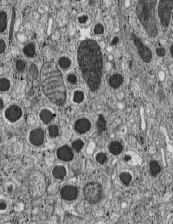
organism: C57BL Mouse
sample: Pancreatic islet